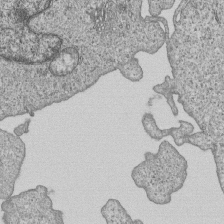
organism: Human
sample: MDA-MB-231 cells